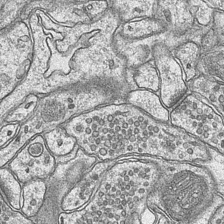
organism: Mouse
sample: CA1 Hippocampus